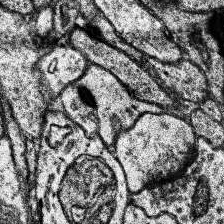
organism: Human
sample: Temporal Lobe